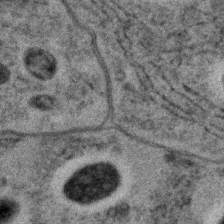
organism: C. elegans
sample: C. elegans embryo